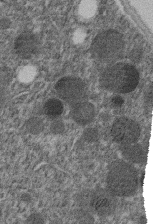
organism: C. elegans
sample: C. elegans embryo early stage